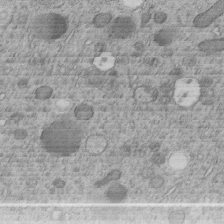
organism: C. elegans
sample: C. elegans embryo early stage